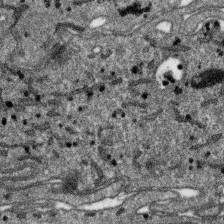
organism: Human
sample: Lung epithelial cells infected with SARS-CoV-2